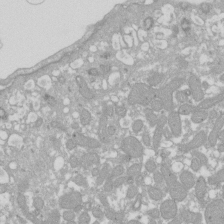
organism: Xenopus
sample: Cilia; centrioles in frog embryo cells